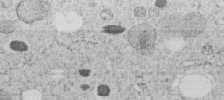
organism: C. elegans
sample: C. elegans embryo early stage